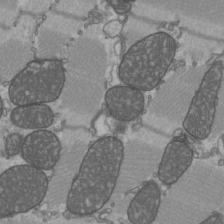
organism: C57BL Mouse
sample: Heart